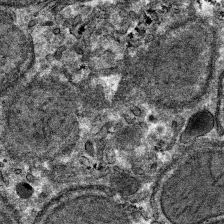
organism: Mouse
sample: Mouse hepatocytes